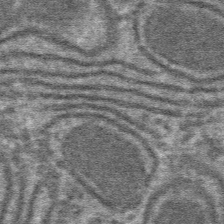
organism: Mouse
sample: Mouse hepatocytes